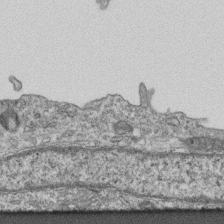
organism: Mouse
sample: Centriole in ependymal cells